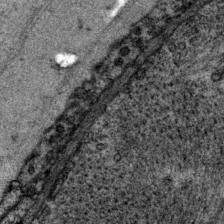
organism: P. pacificus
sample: Pharynx